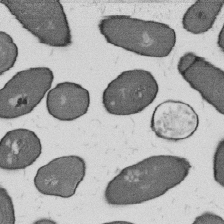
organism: B. subtilis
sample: Bacterial spore